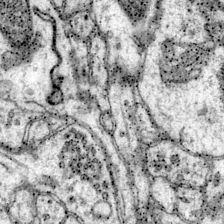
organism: Mouse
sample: Primary visual cortex